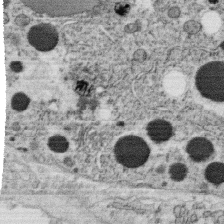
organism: C. elegans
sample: C. elegans oocyte; sperm cells